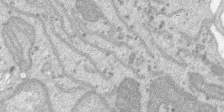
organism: Human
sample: Lung epithelial cells infected with SARS-CoV-2